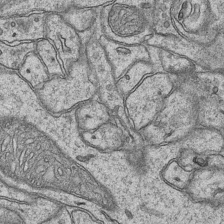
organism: Mouse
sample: CA1 Hippocampus